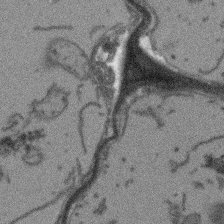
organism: Arabidopsis thaliana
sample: Root tip